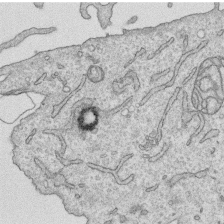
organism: Human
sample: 1205lu cells